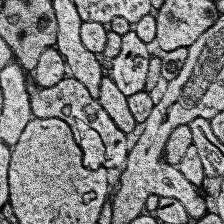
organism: Human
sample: Temporal Lobe